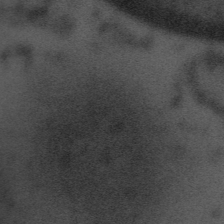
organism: Tuwongella immobilis